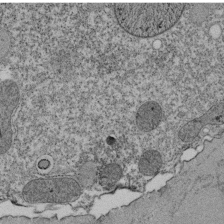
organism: Tetrahymena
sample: Cilia in tetrahymena